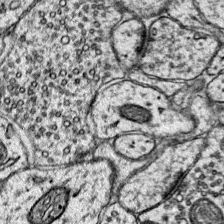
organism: Mouse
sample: Primary visual cortex